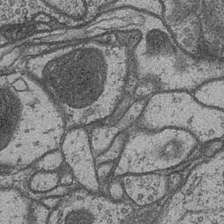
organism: Drosophila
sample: Optic medulla